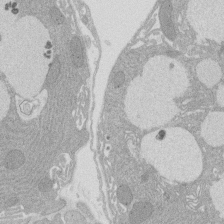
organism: Rat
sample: Salivary granule